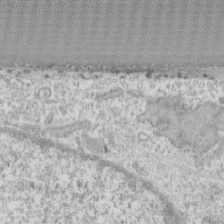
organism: Human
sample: CRL-1474